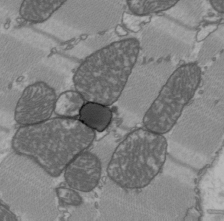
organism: C57BL Mouse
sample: Heart